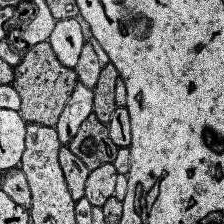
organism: Human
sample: Temporal Lobe